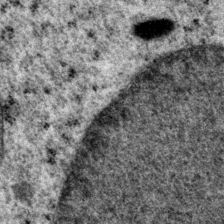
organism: P. pacificus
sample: Pharynx